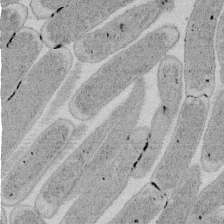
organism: E. coli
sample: Bacterial nucleoid